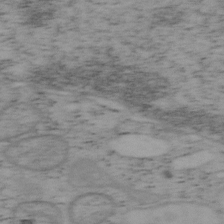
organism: Mouse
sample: OT-I killer T cells with ID8 ovarian cancer cells